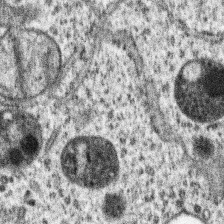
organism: Human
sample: HeLa cells